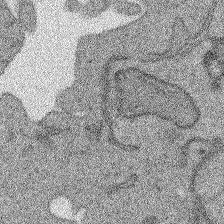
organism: Human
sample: HeLa cells